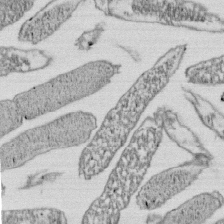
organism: E. coli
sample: Bacterial nucleoid